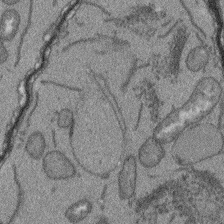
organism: Arabidopsis thaliana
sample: Root tip